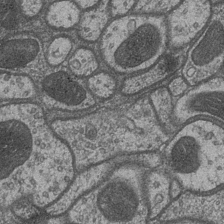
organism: Drosophila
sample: Optic medulla